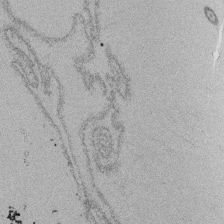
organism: Tetrahymena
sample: Cilia in tetrahymena